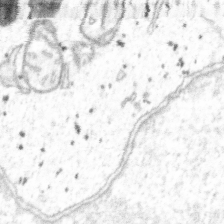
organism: Human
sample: HeLa cells